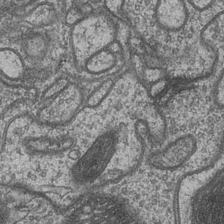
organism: Drosophila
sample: Optic medulla